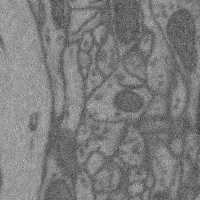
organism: Mouse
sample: Cerebral cortex